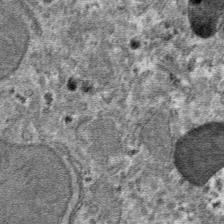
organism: Mouse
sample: Mouse hepatocytes